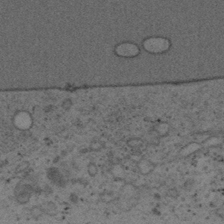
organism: Human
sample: HeLa cells